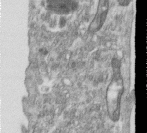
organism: Human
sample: Centriole in RPE cells